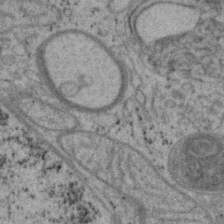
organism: Human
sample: HeLa cells